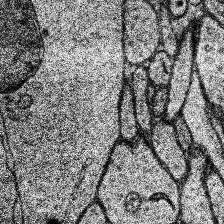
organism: Human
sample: Temporal Lobe